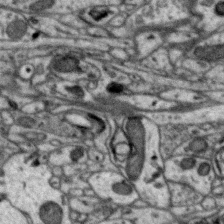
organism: Zebra finch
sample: Brain